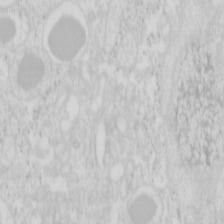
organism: Mouse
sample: Pancreas